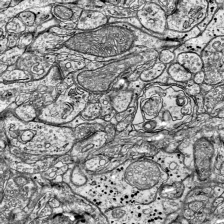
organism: Mouse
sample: Visual Cortex